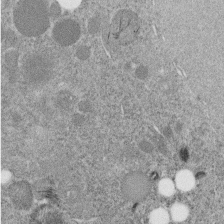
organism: C. elegans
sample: C. elegans embryo early stage